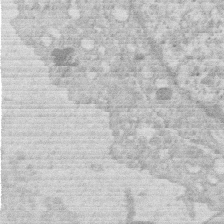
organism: Human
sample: Macrophage cells